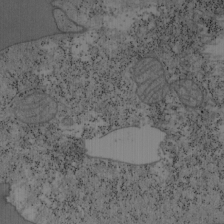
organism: Mouse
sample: OT-I killer T cells with ID8 ovarian cancer cells